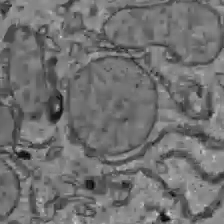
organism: C57BL Mouse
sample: Liver